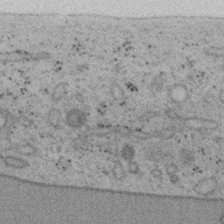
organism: Human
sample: HeLa cells